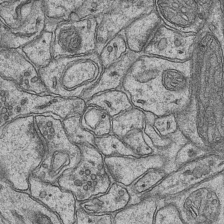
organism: Mouse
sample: CA1 Hippocampus